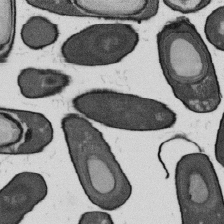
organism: B. subtilis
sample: Bacterial spore